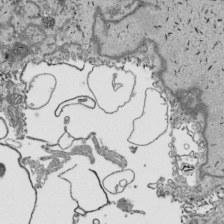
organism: Human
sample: Mitochondria in HCT116 cells